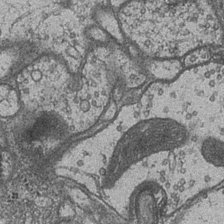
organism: Drosophila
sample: Optic medulla